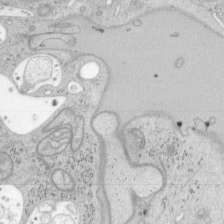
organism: Mouse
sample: OT-I killer T cells with ID8 ovarian cancer cells